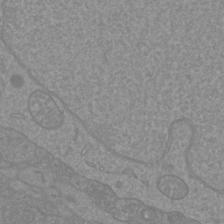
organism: Mouse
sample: Cortical neurons